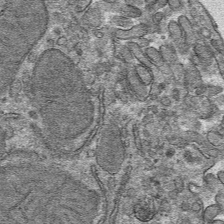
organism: Mouse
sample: Mouse hepatocytes